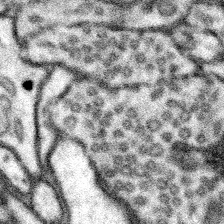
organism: Mouse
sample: Somatosensory cortex neuropil